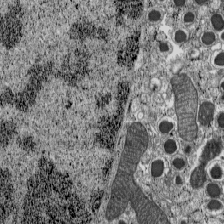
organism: C57BL Mouse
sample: Pancreatic islet